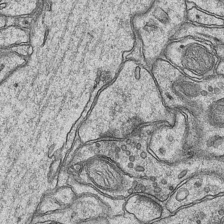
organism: Mouse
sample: CA1 Hippocampus